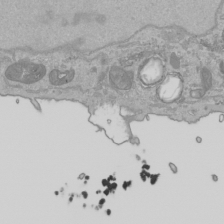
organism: Human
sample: Mitochondria in HCT116 cells